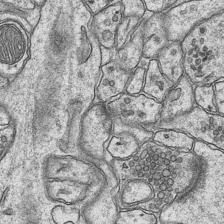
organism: Mouse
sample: CA1 Hippocampus